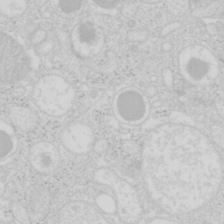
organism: Mouse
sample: Pancreas